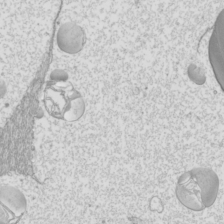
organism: Mouse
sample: Cilia; mouse epididymis